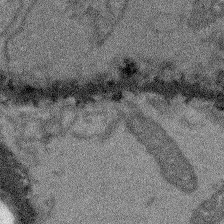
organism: Arabidopsis thaliana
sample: Root tip